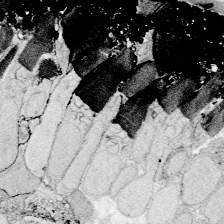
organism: Zebrafish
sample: Whole-Brain